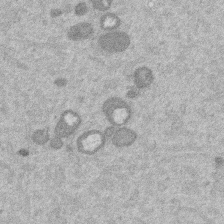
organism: Mouse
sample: Dividing mouse embryo 1 cell stage